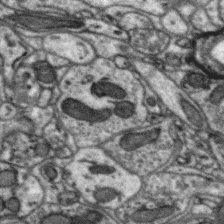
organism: Zebra finch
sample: Brain